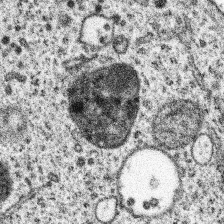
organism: Human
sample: HeLa cells